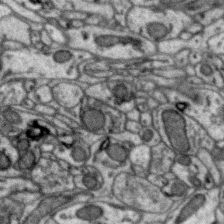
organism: Zebra finch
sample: Brain